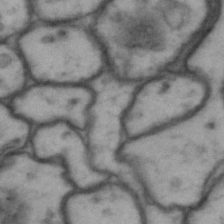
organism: Drosophila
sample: Brain